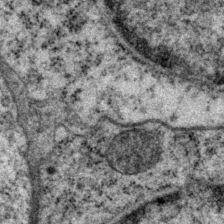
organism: P. pacificus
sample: Pharynx